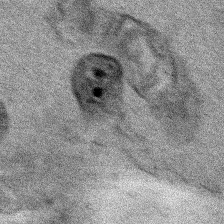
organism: Human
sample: Mitochondria in HCT116 cells